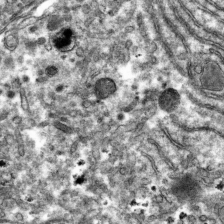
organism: Mouse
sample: Mouse hepatocytes